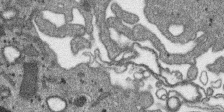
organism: Human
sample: Lung epithelial cells infected with SARS-CoV-2